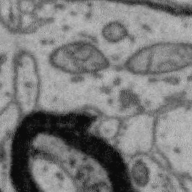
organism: Zebra finch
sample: Brain